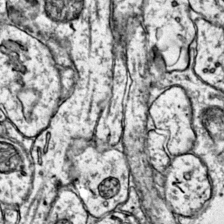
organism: Mouse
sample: Primary visual cortex